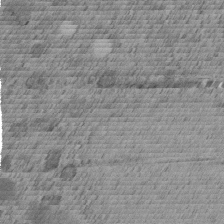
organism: C. elegans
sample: C. elegans embryo early stage